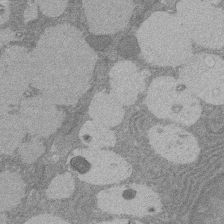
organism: Rat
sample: Salivary granule